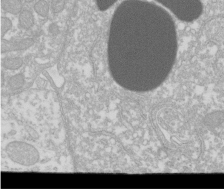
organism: Xenopus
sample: Cilia; centrioles in frog embryo cells